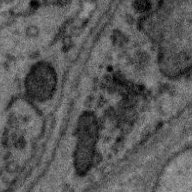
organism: Zebra finch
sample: Brain